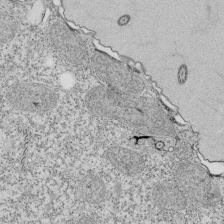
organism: Tetrahymena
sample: Cilia in tetrahymena